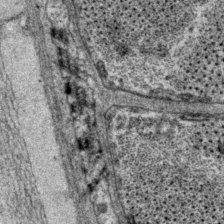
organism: P. pacificus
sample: Pharynx